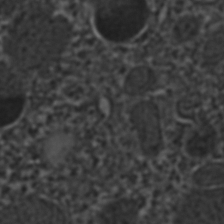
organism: C. elegans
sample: C. elegans embryo